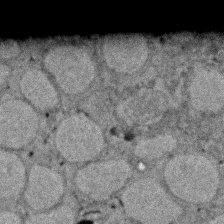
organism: Zebrafish